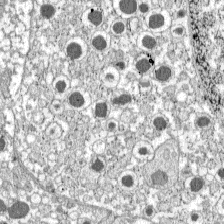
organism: C57BL Mouse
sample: Pancreatic islet